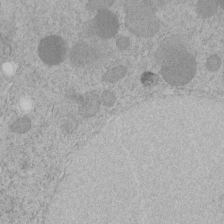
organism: C. elegans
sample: C. elegans embryo early stage